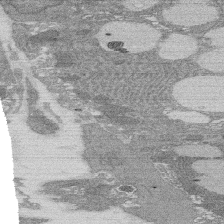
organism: Rat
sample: Salivary granule